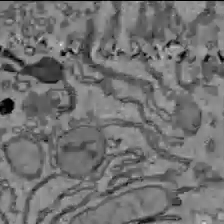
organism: C57BL Mouse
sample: Liver